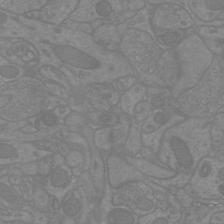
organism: Mouse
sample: Cortical neurons